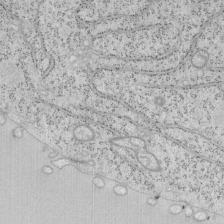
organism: Mouse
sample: OT-I killer T cells with ID8 ovarian cancer cells